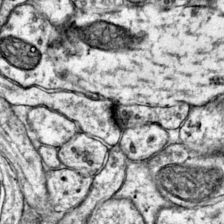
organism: Mouse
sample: Primary visual cortex